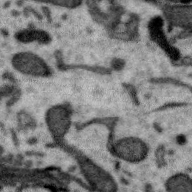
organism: Zebra finch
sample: Brain